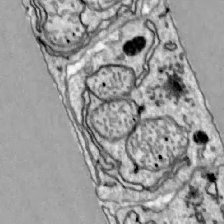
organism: Zebrafish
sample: Actinotrichia fibers